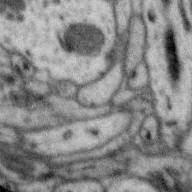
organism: Zebra finch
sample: Brain